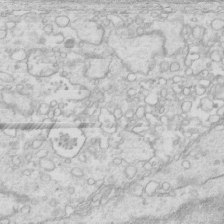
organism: Mouse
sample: Multiciliated cells